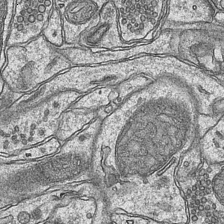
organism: Mouse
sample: CA1 Hippocampus